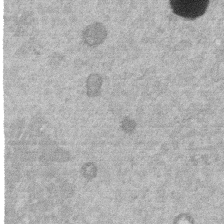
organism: Mouse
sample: Dividing mouse embryo 1 cell stage